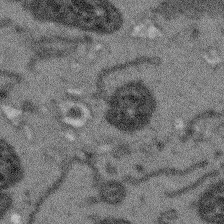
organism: Arabidopsis thaliana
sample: Root tip